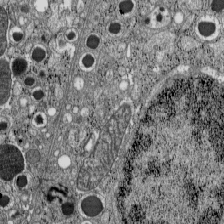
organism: C57BL Mouse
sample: Pancreatic islet